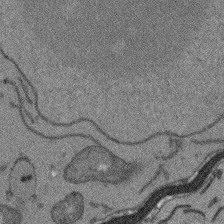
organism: Arabidopsis thaliana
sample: Root tip